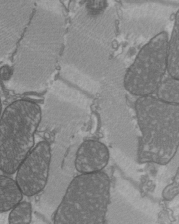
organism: C57BL Mouse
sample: Heart